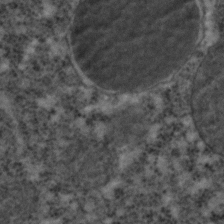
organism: C. elegans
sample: C. elegans embryo